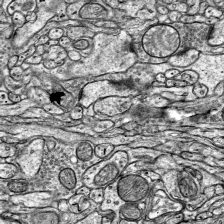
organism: Mouse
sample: Visual Cortex